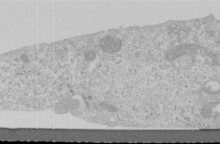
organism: Human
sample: Centriole in RPE cells